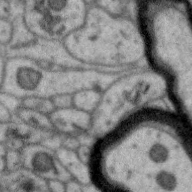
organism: Zebra finch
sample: Brain